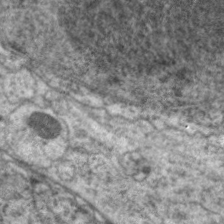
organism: C. elegans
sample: Pharynx